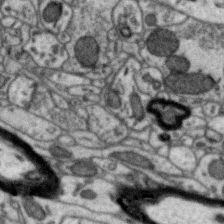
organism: Zebra finch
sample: Brain